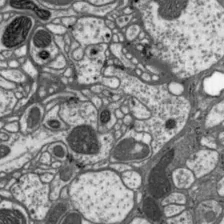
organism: Drosophila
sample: Protocerebral bridge